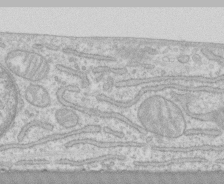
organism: Human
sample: CRL-1474